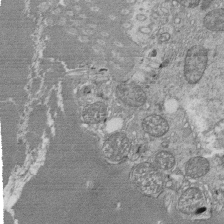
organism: Tetrahymena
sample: Cilia in tetrahymena